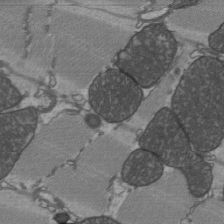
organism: C57BL Mouse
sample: Heart